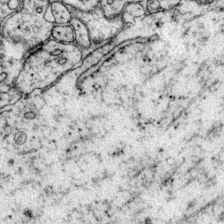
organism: Mouse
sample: Primary visual cortex